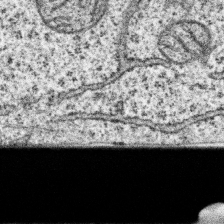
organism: Human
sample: HeLa cells